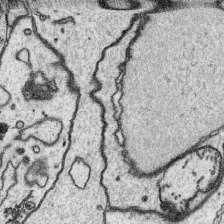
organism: Platynereis dumerilii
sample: Parapodia